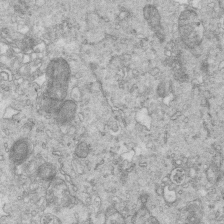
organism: Mouse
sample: Multiciliated cells